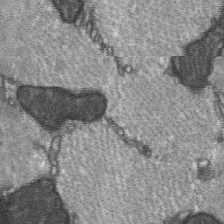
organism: C57BL Mouse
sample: Soleus